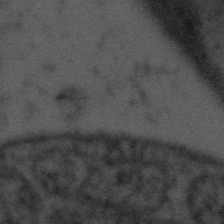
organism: Tuwongella immobilis